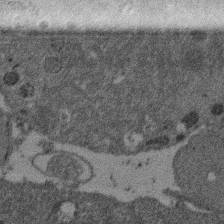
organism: Mouse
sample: Dividing mouse embryo 1 cell stage